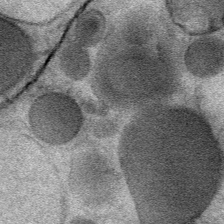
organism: Mouse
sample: Mouse Salivary gland